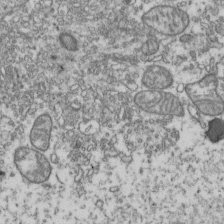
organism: Human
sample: Activated Jurkat CD4+ T cells